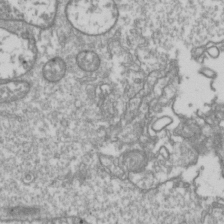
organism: Drosophila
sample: Cell division; meiosis; drosophila spermatocytes